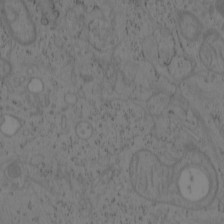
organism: Human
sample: HeLa cells